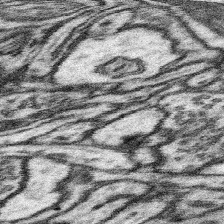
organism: Mouse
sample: Somatosensory cortex neuropil